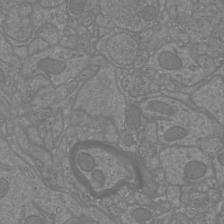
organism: Mouse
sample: Cortical neurons